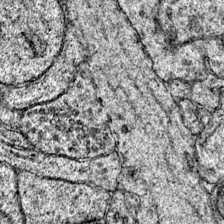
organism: Mouse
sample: Primary visual cortex